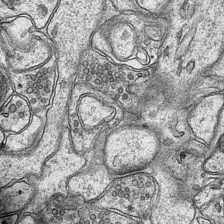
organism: Mouse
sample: CA1 Hippocampus